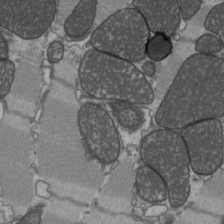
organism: C57BL Mouse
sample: Heart